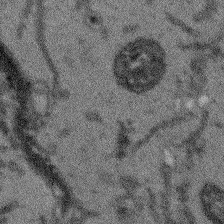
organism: Arabidopsis thaliana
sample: Root tip